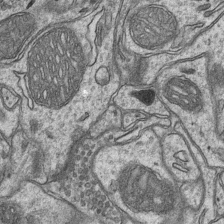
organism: Mouse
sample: CA1 Hippocampus